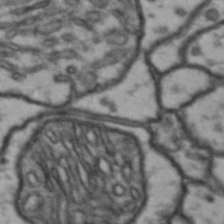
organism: Drosophila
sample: Brain